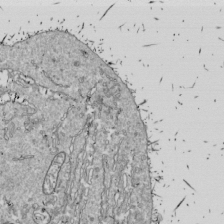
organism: Drosophila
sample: Cell division; meiosis; drosophila spermatocytes